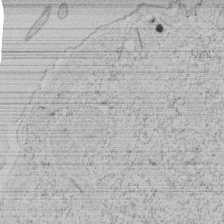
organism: Tetrahymena